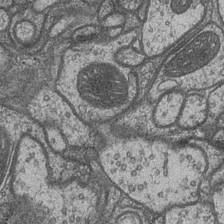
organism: Drosophila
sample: Optic medulla